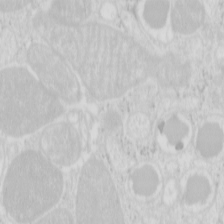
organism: Mouse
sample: Pancreas